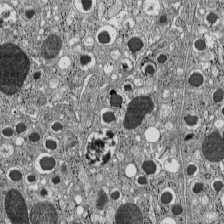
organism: C57BL Mouse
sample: Pancreatic islet